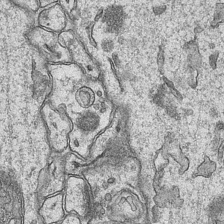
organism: Mouse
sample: CA1 Hippocampus